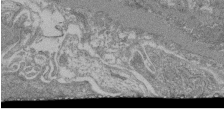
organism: Mouse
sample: Glomerulus